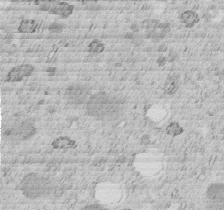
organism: C. elegans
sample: C. elegans embryo early stage